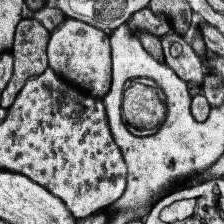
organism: Human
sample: Temporal Lobe